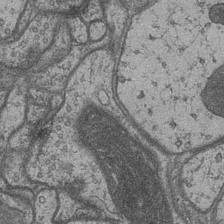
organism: Drosophila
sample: Optic medulla